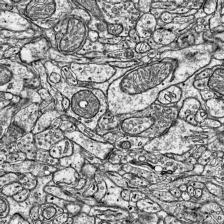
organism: Mouse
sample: Visual Cortex